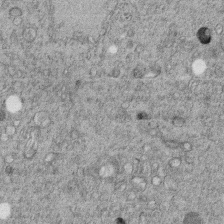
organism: C. elegans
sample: C. elegans embryo early stage